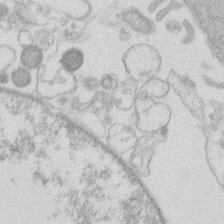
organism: Human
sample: Macrophage cells